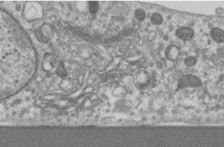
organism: Human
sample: Centriole in RPE cells